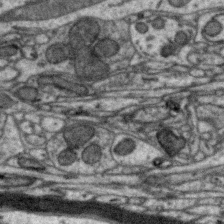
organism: Zebra finch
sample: Brain